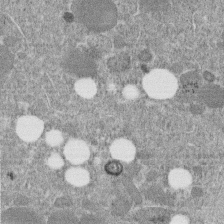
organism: C. elegans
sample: C. elegans embryo early stage